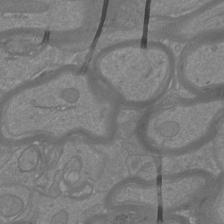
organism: Mouse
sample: Cortical neurons